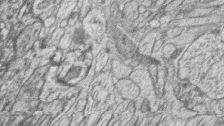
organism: Zebrafish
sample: synaptic ribbons in rod cells and cone cells